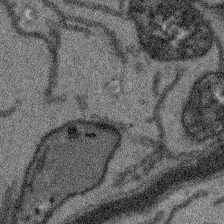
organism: Arabidopsis thaliana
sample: Root tip